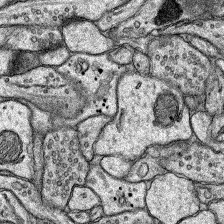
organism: Rat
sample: Hippocampus